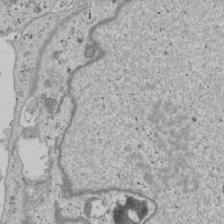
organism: Human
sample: Mitochondria in U2OS cells